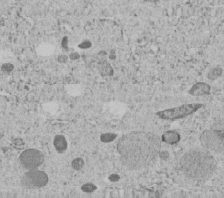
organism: C. elegans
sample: C. elegans embryo early stage